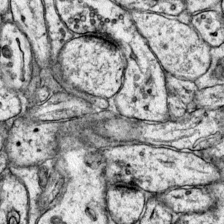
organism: Mouse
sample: Primary visual cortex